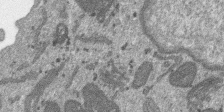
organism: Human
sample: Lung epithelial cells infected with SARS-CoV-2